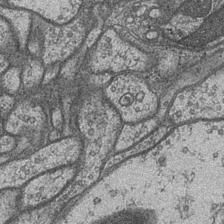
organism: Drosophila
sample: Optic medulla